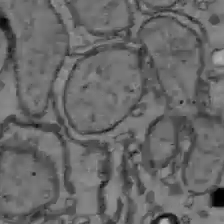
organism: C57BL Mouse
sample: Liver